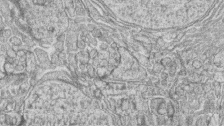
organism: Zebrafish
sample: synaptic ribbons in rod cells and cone cells